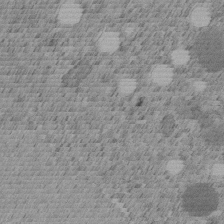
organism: C. elegans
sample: C. elegans embryo early stage